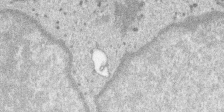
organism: Human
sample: Lung epithelial cells infected with SARS-CoV-2